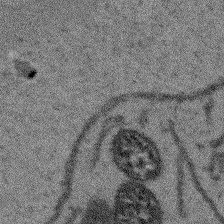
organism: Arabidopsis thaliana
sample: Root tip